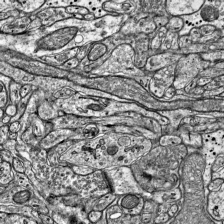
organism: Mouse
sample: Visual Cortex